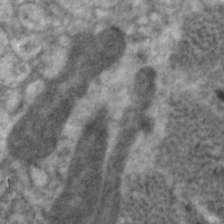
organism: C. elegans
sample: Pharynx